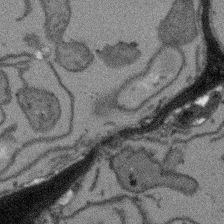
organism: Arabidopsis thaliana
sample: Root tip